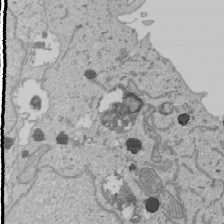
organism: Human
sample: Mitochondria in U2OS cells